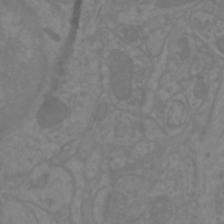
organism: Mouse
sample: Cortical neurons